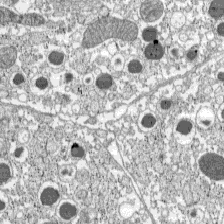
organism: C57BL Mouse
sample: Pancreatic islet